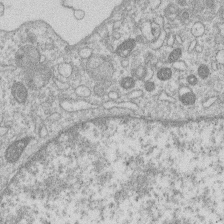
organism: Human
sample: Macrophage cells